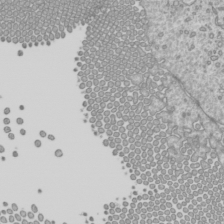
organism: Mouse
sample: Cilia; mouse epididymis